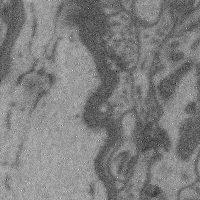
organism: Mouse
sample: Cerebral cortex